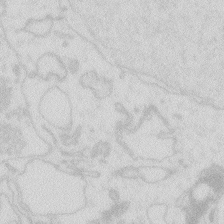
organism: Zebrafish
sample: Macrophage